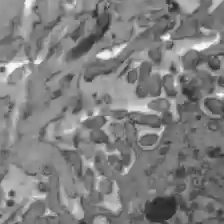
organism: C57BL Mouse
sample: Liver